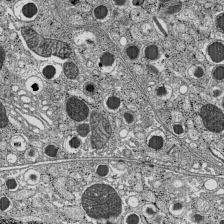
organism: C57BL Mouse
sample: Pancreatic islet